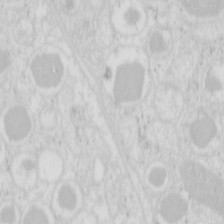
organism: Mouse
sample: Pancreas